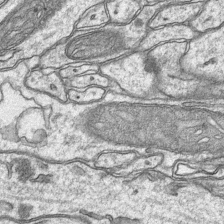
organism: Mouse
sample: CA1 Hippocampus